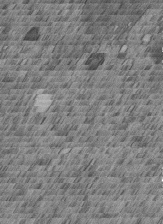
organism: C. elegans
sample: C. elegans embryo early stage